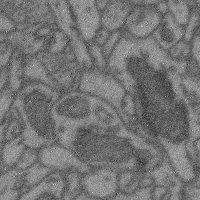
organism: Mouse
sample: Cerebral cortex